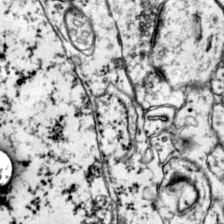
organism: Mouse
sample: Primary visual cortex